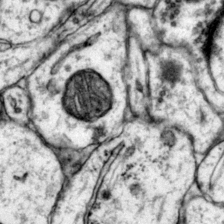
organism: Mouse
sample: Primary visual cortex